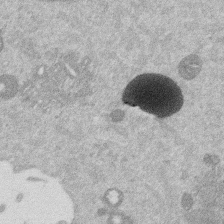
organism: Mouse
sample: Dividing mouse embryo 1 cell stage